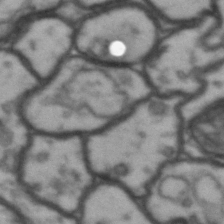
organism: Drosophila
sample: Brain